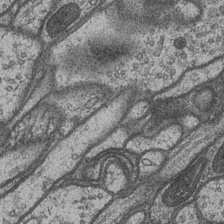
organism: Drosophila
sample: Optic medulla